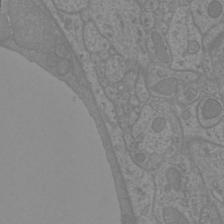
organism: Mouse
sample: Cortical neurons